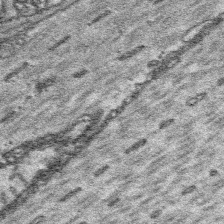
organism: Platynereis dumerilii